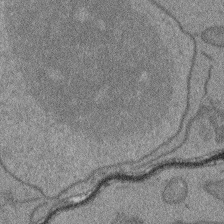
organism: Arabidopsis thaliana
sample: Root tip